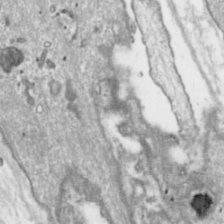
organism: Toxoplasma gondii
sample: Parasites in a vacuole inside a host cell